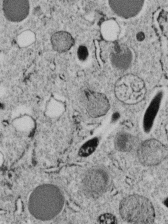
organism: C. elegans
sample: C. elegans embryo early stage